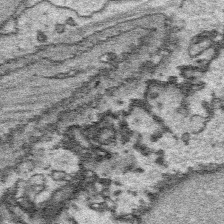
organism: Platynereis dumerilii